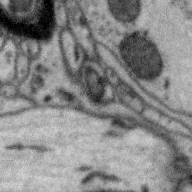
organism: Zebra finch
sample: Brain